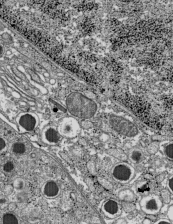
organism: C57BL Mouse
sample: Pancreatic islet